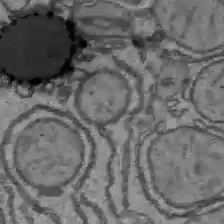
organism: C57BL Mouse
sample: Liver